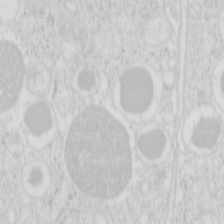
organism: Mouse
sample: Pancreas